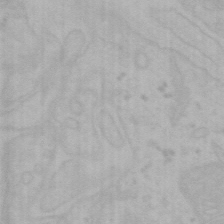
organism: Mouse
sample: Choroid plexus